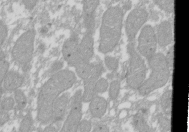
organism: Xenopus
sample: Cilia; centrioles in frog embryo cells